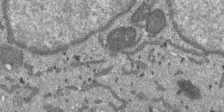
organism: Human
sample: Lung epithelial cells infected with SARS-CoV-2